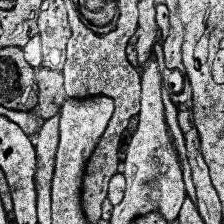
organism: Human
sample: Temporal Lobe